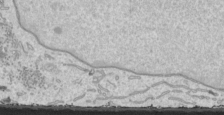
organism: Human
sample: Mitochondria in HCT116 cells